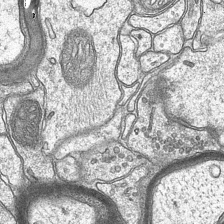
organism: Mouse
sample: CA1 Hippocampus